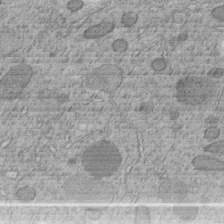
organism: C. elegans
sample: C. elegans embryo early stage